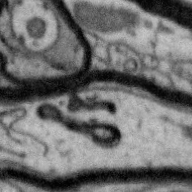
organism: Zebra finch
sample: Brain